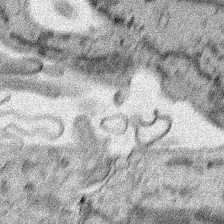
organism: Human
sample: Mitochondria in HCT116 cells